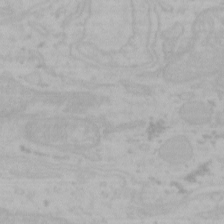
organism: Mouse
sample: Choroid plexus